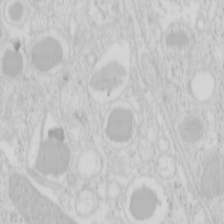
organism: Mouse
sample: Pancreas